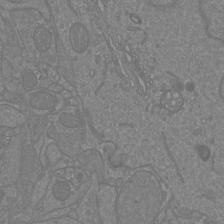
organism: Mouse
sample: Cortical neurons